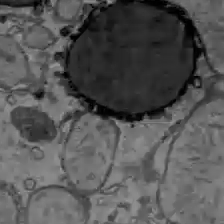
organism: C57BL Mouse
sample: Liver